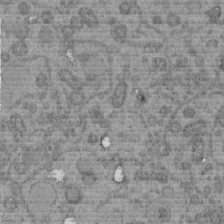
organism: C. elegans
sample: C. elegans embryo early stage